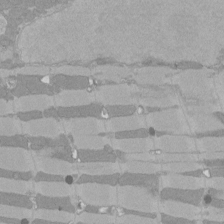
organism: Rat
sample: Left ventricle